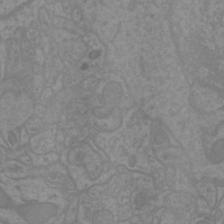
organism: Mouse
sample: Cortical neurons